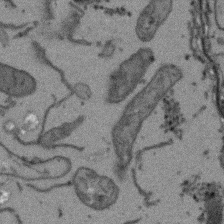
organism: Arabidopsis thaliana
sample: Root tip